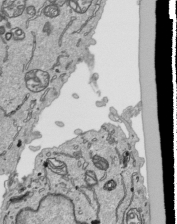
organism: Human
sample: Mitochondria in HCT116 cells